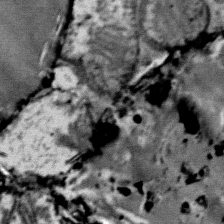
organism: Mouse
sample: Mouse Salivary gland